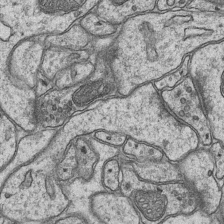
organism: Mouse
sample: CA1 Hippocampus